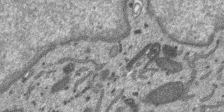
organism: Human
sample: Lung epithelial cells infected with SARS-CoV-2